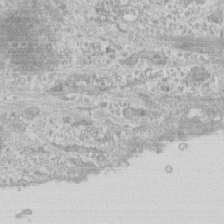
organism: Human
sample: CRL-1474